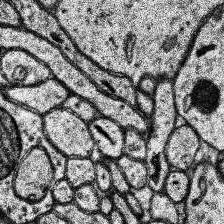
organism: Human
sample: Temporal Lobe